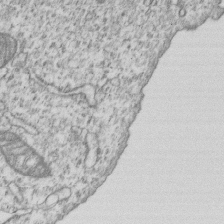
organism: Human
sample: MDA-MB-231 cells